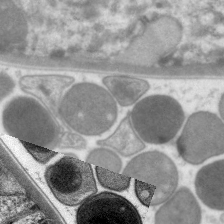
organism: C. elegans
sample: Pharynx